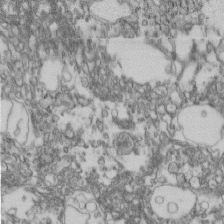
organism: Mouse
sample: Cilia; retinal pigment epithelium